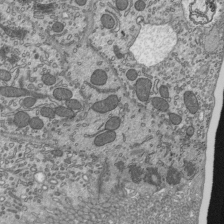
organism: Mouse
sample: Mouse epididymis efferent ductule cilia